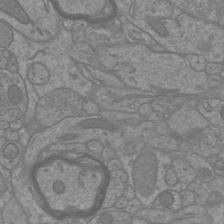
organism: Mouse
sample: Cortical neurons